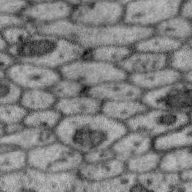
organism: Zebra finch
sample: Brain